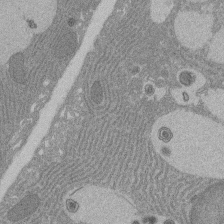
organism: Rat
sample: Salivary granule